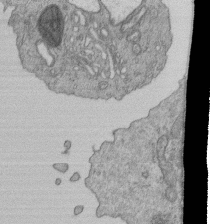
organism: Human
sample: Retinal organoid Rod and Cone cells